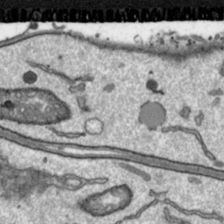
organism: Toxoplasma gondii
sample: Parasites in a vacuole inside a host cell